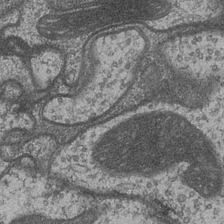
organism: Drosophila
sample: Optic medulla